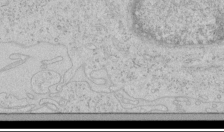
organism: Human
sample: Mitochondria in HCT116 cells